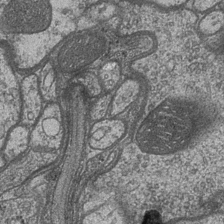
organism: Drosophila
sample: Optic medulla